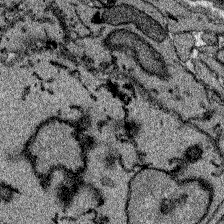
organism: Zebrafish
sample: Larval olfactory bulb